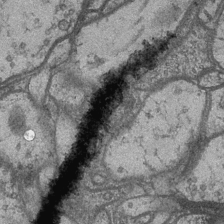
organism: Drosophila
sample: Optic medulla